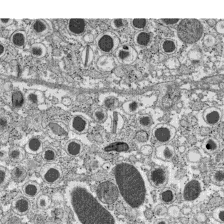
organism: C57BL Mouse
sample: Pancreatic islet